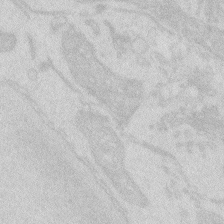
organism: Zebrafish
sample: Macrophage